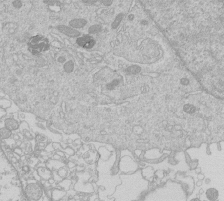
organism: Human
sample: Macrophage cells